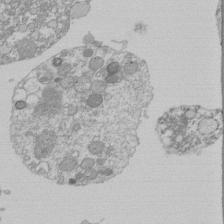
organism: Mouse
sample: Activated Pmel transgenic CD8+ T Cells